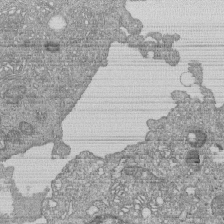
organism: Human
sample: MDA-MB-231 cells